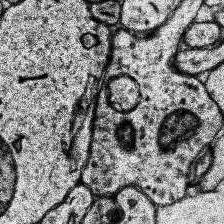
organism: Human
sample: Temporal Lobe